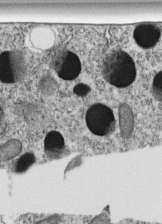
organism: C. elegans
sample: C. elegans embryo early stage